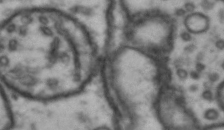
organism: Drosophila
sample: Brain